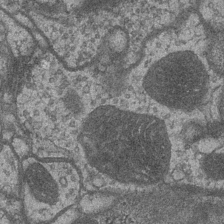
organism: Drosophila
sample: Optic medulla